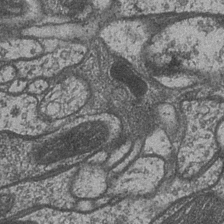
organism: Drosophila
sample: Optic medulla